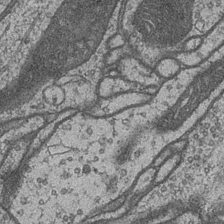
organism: Drosophila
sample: Optic medulla